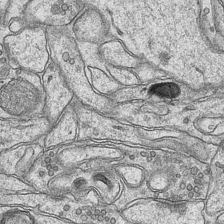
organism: Mouse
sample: CA1 Hippocampus